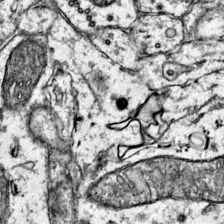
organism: Mouse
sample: Primary visual cortex